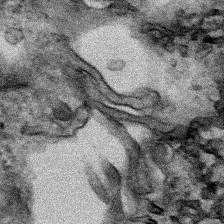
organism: Human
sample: Mitochondria in HCT116 cells